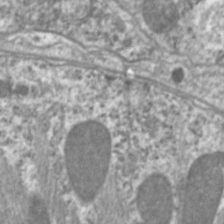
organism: C. elegans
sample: Pharynx